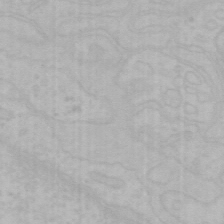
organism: Mouse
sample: Choroid plexus